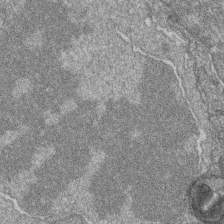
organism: Zebrafish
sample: Cilia; retinal pigment epithelium